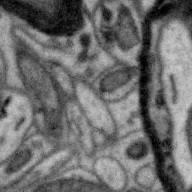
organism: Zebra finch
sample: Brain